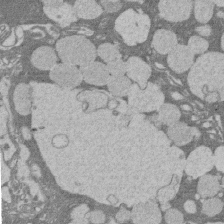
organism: Rat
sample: Salivary granule